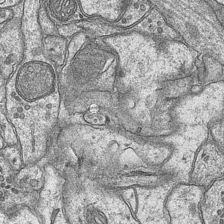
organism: Mouse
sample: CA1 Hippocampus